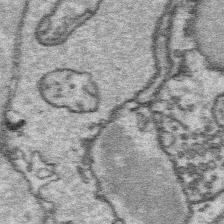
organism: Platynereis dumerilii